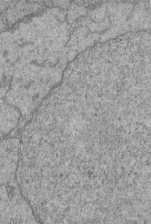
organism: Human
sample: Retinal organoid Rod and Cone cells